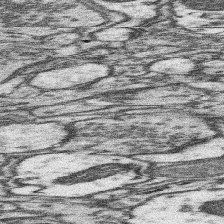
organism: Mouse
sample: Somatosensory cortex neuropil